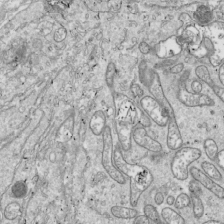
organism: Drosophila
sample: Cell division; meiosis; drosophila spermatocytes